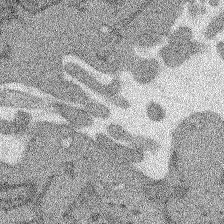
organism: Human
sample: HeLa cells